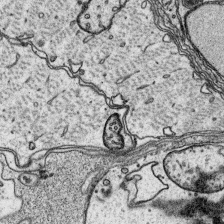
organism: Platynereis dumerilii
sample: Parapodia